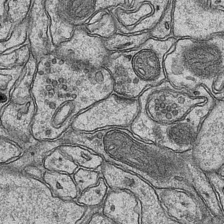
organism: Mouse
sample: CA1 Hippocampus